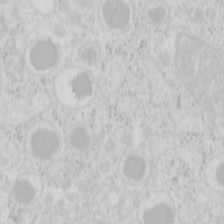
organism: Mouse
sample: Pancreas